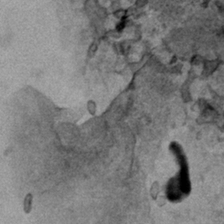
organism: Human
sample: Mitochondria in HCT116 cells